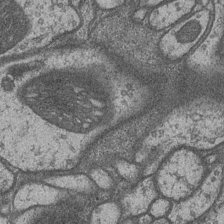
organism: Drosophila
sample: Optic medulla